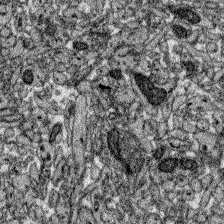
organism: Zebrafish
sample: Larval olfactory bulb